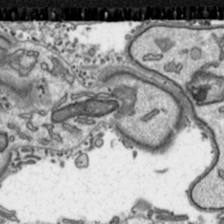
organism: Toxoplasma gondii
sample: Parasites in a vacuole inside a host cell